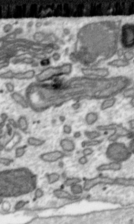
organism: Toxoplasma gondii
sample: Parasites in a vacuole inside a host cell